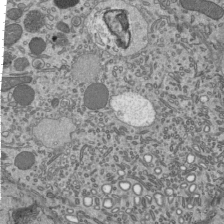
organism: Mouse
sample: Mouse epididymis efferent ductule cilia